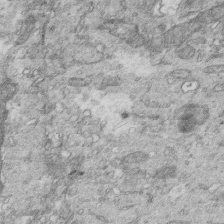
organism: Mouse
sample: Multiciliated cells